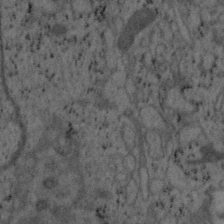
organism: Human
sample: HeLa cells